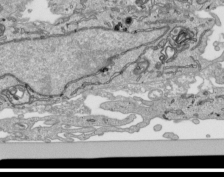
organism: Human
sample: Mitochondria in HCT116 cells